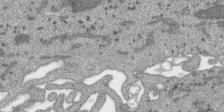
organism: Human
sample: Lung epithelial cells infected with SARS-CoV-2